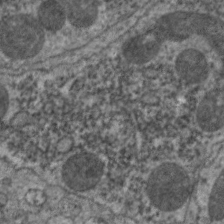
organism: C. elegans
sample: Pharynx